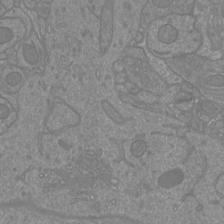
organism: Mouse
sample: Cortical neurons